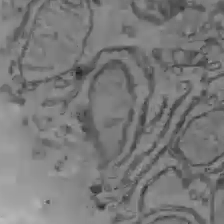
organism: C57BL Mouse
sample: Liver